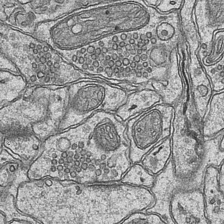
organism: Mouse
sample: CA1 Hippocampus